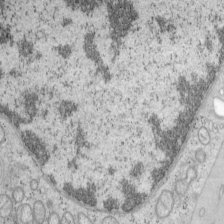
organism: Mouse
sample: OT-I killer T cells with ID8 ovarian cancer cells